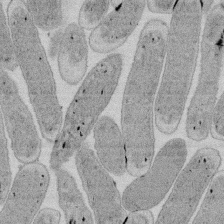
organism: E. coli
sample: Bacterial nucleoid